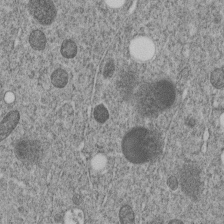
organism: C. elegans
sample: C. elegans embryo early stage